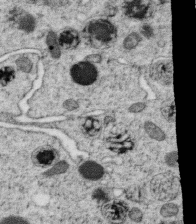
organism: C. elegans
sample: C. elegans oocyte; sperm cells